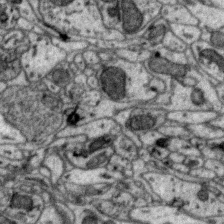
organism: Zebra finch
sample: Brain